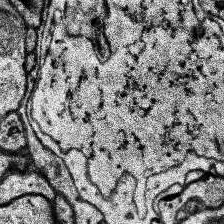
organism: Human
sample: Temporal Lobe